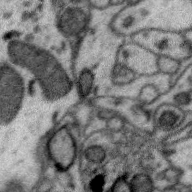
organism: Zebra finch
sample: Brain